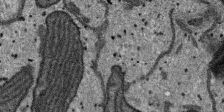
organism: Human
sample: Lung epithelial cells, uninfected (mock) control